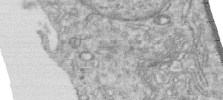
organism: Human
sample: Centriole in RPE cells